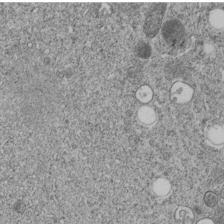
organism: C. elegans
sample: C. elegans embryo early stage